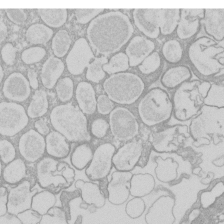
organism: Xenopus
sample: Cilia; centrioles in frog embryo cells